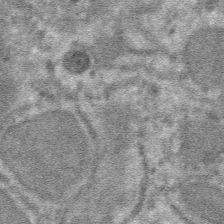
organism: Mouse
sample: Mouse hepatocytes